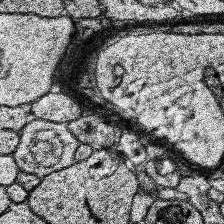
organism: Human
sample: Temporal Lobe